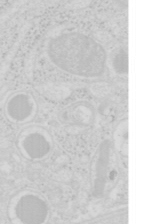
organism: Mouse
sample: Pancreas